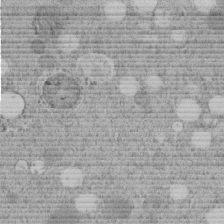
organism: C. elegans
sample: C. elegans embryo early stage